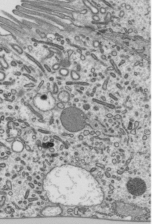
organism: Mouse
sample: Mouse epididymis efferent ductule cilia